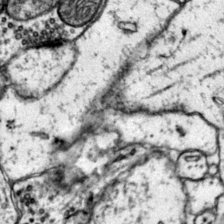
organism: Mouse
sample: Primary visual cortex